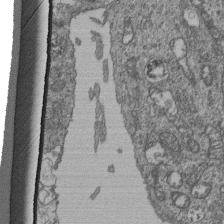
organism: Human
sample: Retinal organoid Rod and Cone cells